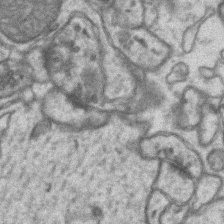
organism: Mouse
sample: CA1 Hippocampus